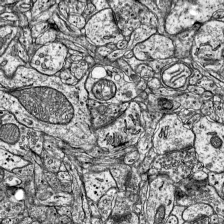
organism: Mouse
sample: Visual Cortex